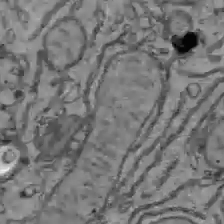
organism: C57BL Mouse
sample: Liver